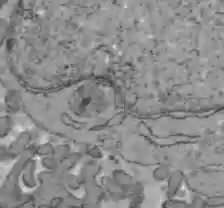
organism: C57BL Mouse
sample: Liver